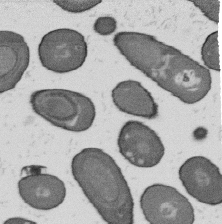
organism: B. subtilis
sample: Bacterial spore